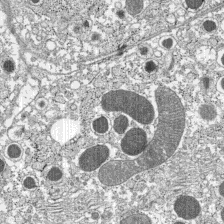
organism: C57BL Mouse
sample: Pancreatic islet